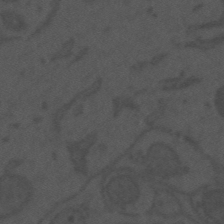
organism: Mouse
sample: Suprachiasmatic nucleus